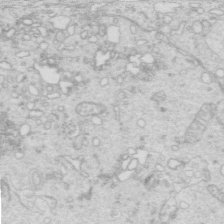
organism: Mouse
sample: Multiciliated cells